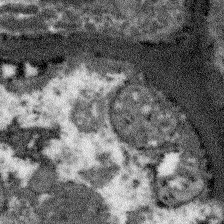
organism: Arabidopsis thaliana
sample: Root tip